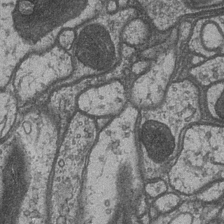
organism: Drosophila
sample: Optic medulla